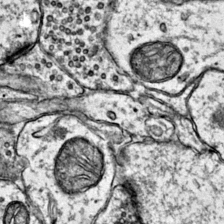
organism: Mouse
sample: Primary visual cortex